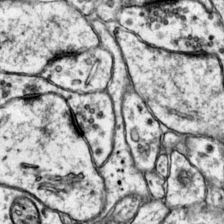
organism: Mouse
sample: Primary visual cortex